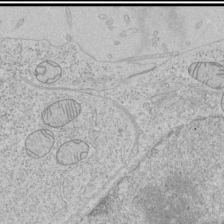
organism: Human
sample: Mitochondria in HCT116 cells